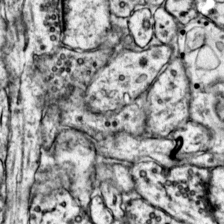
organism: Mouse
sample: Primary visual cortex